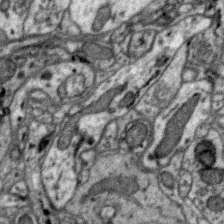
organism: Zebra finch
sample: Brain